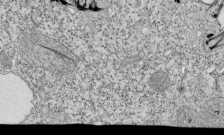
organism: Tetrahymena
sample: Cilia in tetrahymena